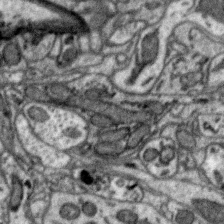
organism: Zebra finch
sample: Brain